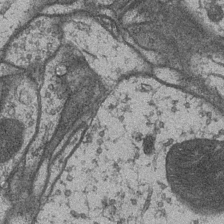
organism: Drosophila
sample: Optic medulla